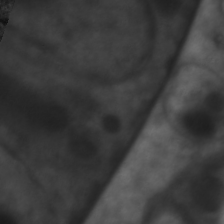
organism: C. elegans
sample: Pharynx